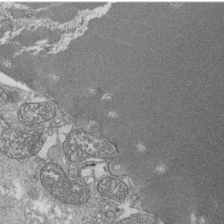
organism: Tetrahymena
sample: Cilia in tetrahymena